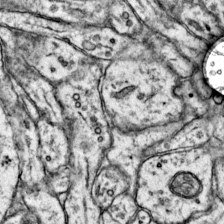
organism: Mouse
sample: Primary visual cortex